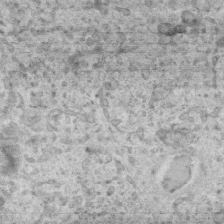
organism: Mouse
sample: Centriole in ependymal cells